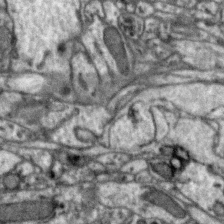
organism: Zebra finch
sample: Brain